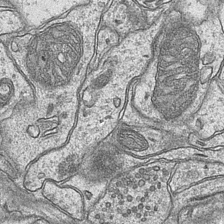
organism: Mouse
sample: CA1 Hippocampus